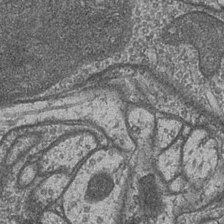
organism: Drosophila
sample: Optic medulla